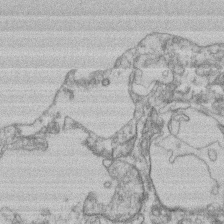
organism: Mouse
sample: T cell stromal cell synapse